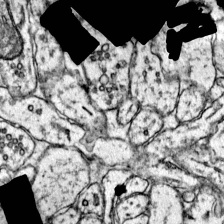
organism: Mouse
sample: Primary visual cortex